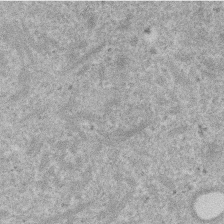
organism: Mouse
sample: Dividing mouse embryo 1 cell stage